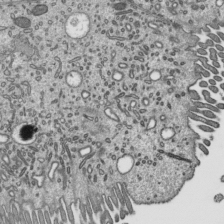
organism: Mouse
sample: Mouse epididymis efferent ductule cilia